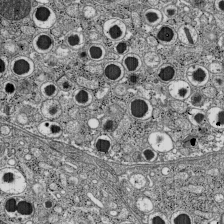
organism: C57BL Mouse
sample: Pancreatic islet